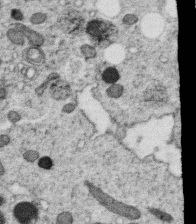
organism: C. elegans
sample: C. elegans oocyte; sperm cells